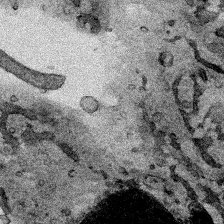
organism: Human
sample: Mitochondria in HCT116 cells